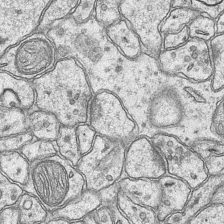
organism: Mouse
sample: CA1 Hippocampus